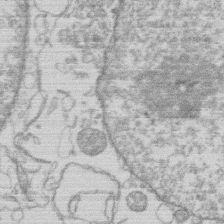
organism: Human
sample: Macrophage cells